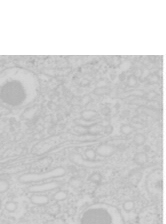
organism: Mouse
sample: Pancreas